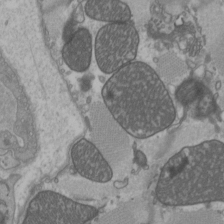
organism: C57BL Mouse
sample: Heart